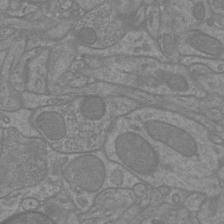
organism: Mouse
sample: Cortical neurons